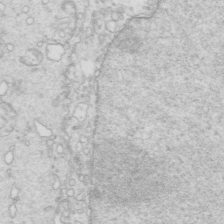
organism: Mouse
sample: Multiciliated cells